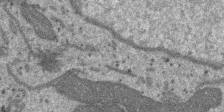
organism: Human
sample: Lung epithelial cells infected with SARS-CoV-2